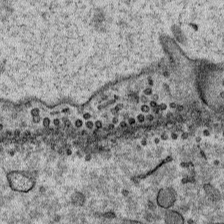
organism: Mouse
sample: Mouse Salivary gland